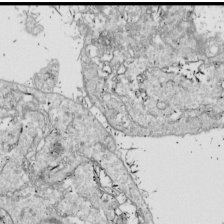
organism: Drosophila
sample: Cell division; meiosis; drosophila spermatocytes